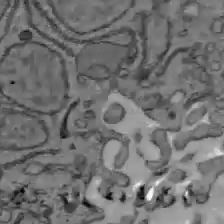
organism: C57BL Mouse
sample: Liver